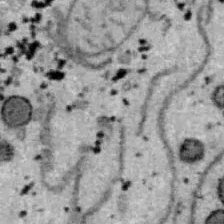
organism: Mouse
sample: Liver from an obese (ob/ob) mouse